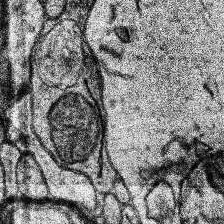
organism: Human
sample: Temporal Lobe